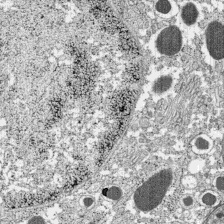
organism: C57BL Mouse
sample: Pancreatic islet